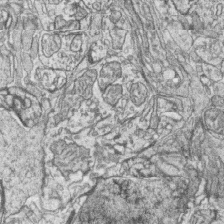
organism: Zebrafish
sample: synaptic ribbons in rod cells and cone cells